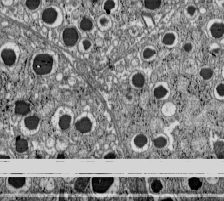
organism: C57BL Mouse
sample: Pancreatic islet